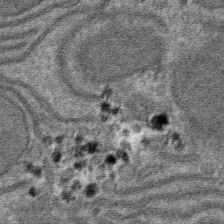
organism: Mouse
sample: Mouse hepatocytes